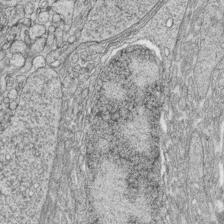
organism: Zebrafish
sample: synaptic ribbons in rod cells and cone cells